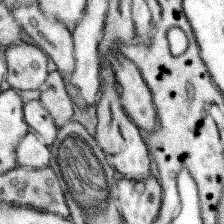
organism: Mouse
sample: Somatosensory cortex neuropil